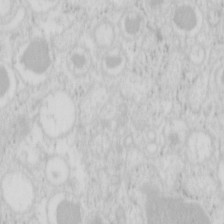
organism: Mouse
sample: Pancreas